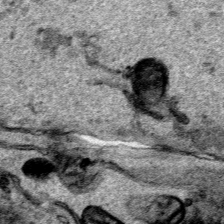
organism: Human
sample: Mitochondria in HCT116 cells